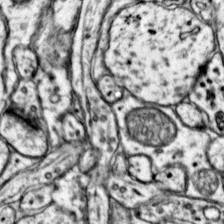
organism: Mouse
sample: Primary visual cortex